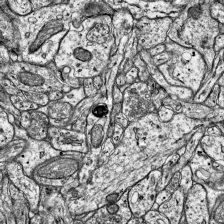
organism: Mouse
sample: Visual Cortex